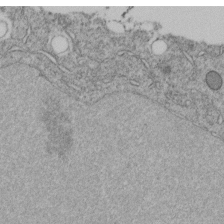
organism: C. elegans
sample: C. elegans embryo early stage